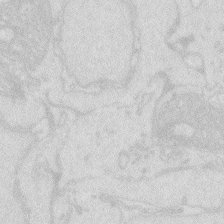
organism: Zebrafish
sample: Macrophage